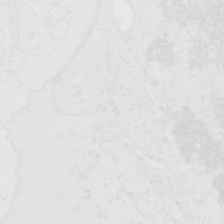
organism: Human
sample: T Cells (Jurkat E6.1)